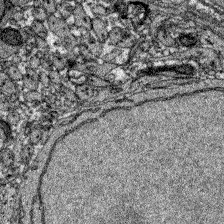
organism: Zebrafish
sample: Larval olfactory bulb